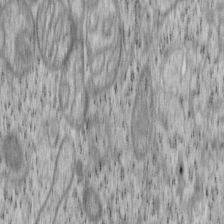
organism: Human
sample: HeLa cells